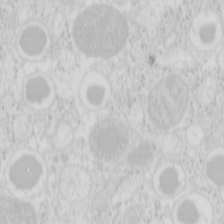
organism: Mouse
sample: Pancreas